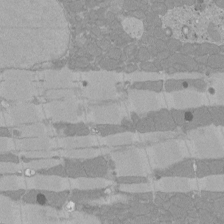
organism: Rat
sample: Left ventricle